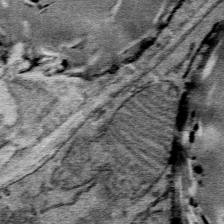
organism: Mouse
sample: Mouse Salivary gland